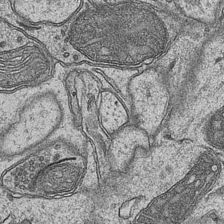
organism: Mouse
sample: CA1 Hippocampus